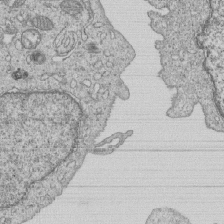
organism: Human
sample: MDA-MB-231 cells